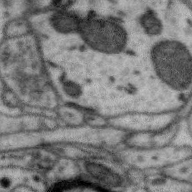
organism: Zebra finch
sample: Brain